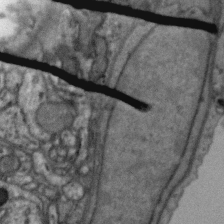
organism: Zebra finch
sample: Brain